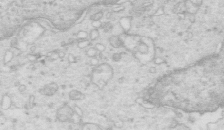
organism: Mouse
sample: Multiciliated cells